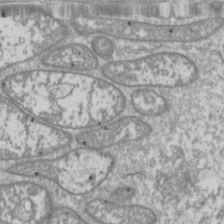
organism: Drosophila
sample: Cell division; meiosis; drosophila spermatocytes